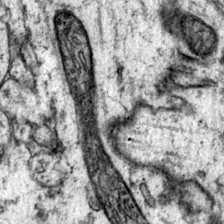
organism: Mouse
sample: Primary visual cortex